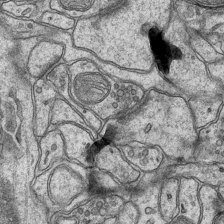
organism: Mouse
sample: CA1 Hippocampus